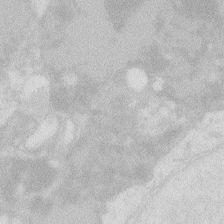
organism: Zebrafish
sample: Macrophage